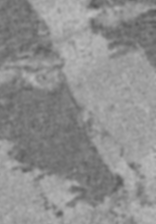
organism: C57BL Mouse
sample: Heart